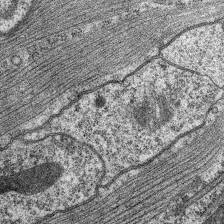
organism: C. elegans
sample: Pharynx